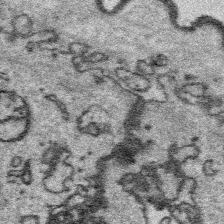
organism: Platynereis dumerilii